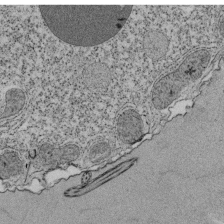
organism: Tetrahymena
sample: Cilia in tetrahymena